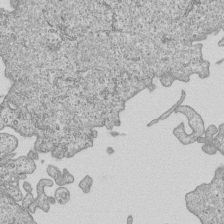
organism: Human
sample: MDA-MB-231 cells